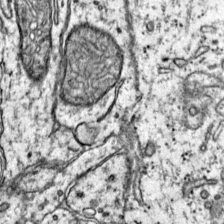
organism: Mouse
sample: Primary visual cortex